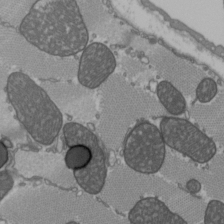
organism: C57BL Mouse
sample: Heart